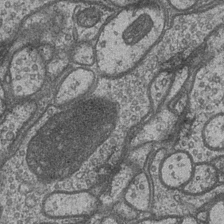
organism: Drosophila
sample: Optic medulla